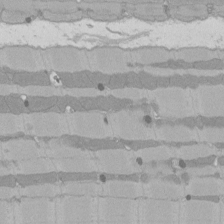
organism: Rat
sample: Left ventricle